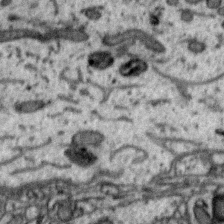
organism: Zebra finch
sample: Brain